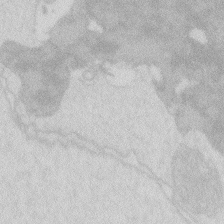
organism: Zebrafish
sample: Macrophage